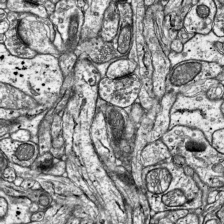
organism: Mouse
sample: Visual Cortex